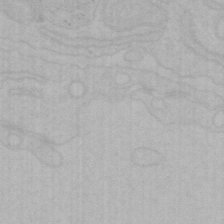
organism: Mouse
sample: Choroid plexus